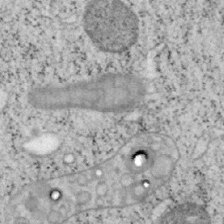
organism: Mouse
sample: OT-I killer T cells with ID8 ovarian cancer cells